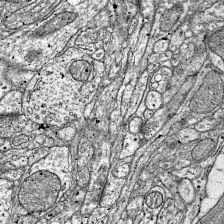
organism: Mouse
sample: Visual Cortex